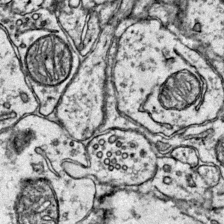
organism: Mouse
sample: Primary visual cortex